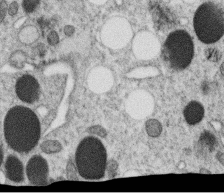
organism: C. elegans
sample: C. elegans oocyte; sperm cells